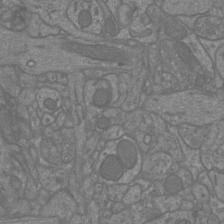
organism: Mouse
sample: Cortical neurons